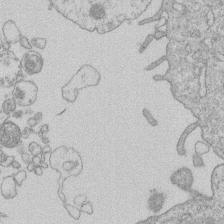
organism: Human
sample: Macrophage cells